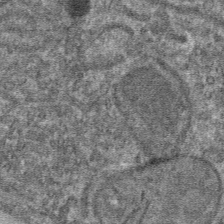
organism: Mouse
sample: Mouse hepatocytes